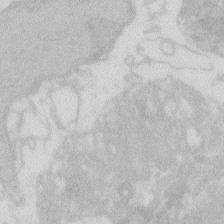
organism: Zebrafish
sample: Macrophage